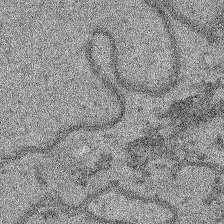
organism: Human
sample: HeLa cells